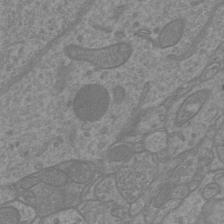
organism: Mouse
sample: Cortical neurons